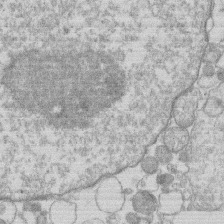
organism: Human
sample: Macrophage cells